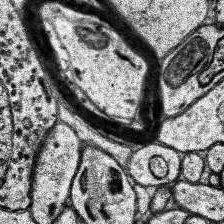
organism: Human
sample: Temporal Lobe